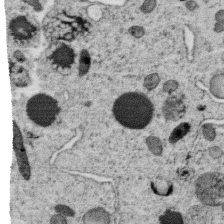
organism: C. elegans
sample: C. elegans oocyte; sperm cells